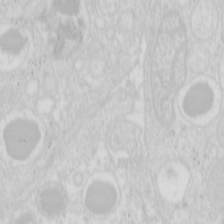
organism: Mouse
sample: Pancreas